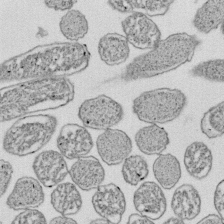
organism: E. coli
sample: Bacterial nucleoid